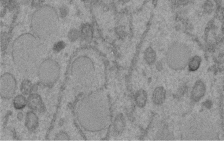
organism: C. elegans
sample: C. elegans embryo early stage